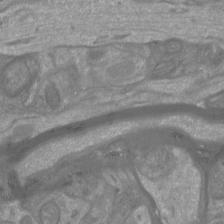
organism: Mouse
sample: Cortical neurons